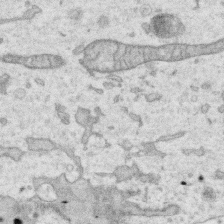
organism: Human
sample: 1205lu cells